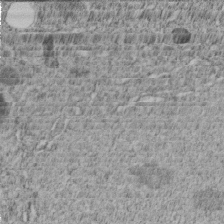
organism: C. elegans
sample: C. elegans embryo early stage